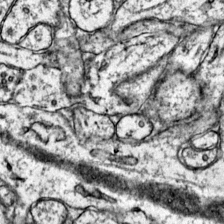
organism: Mouse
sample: Primary visual cortex